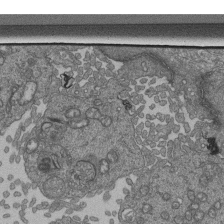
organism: Human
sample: Retinal organoid Rod and Cone cells